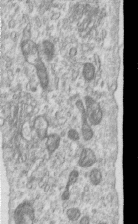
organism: Human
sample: Centriole in RPE cells